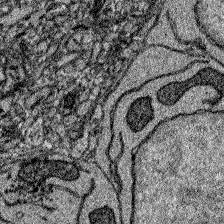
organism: Zebrafish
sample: Larval olfactory bulb